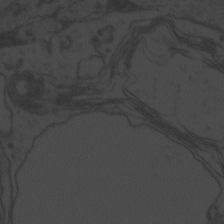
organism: Zebrafish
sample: Macrophage infected with Toxoplasma gondii